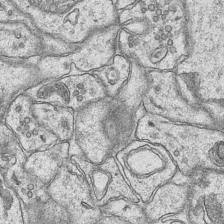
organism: Mouse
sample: CA1 Hippocampus